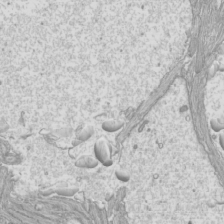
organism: Mouse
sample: Cilia; mouse epididymis